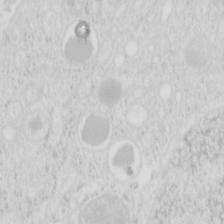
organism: Mouse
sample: Pancreas